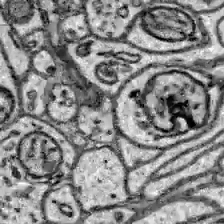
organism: Zebrafish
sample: Brain